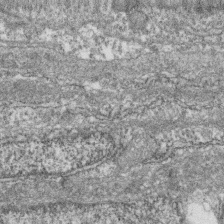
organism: Zebrafish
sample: Cilia; retinal pigment epithelium